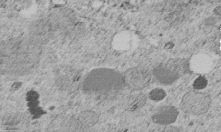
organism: C. elegans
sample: C. elegans embryo early stage